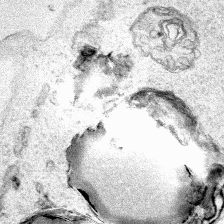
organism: Human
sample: Mitochondria in HCT116 cells